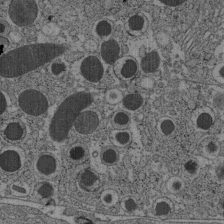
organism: C57BL Mouse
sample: Pancreatic islet